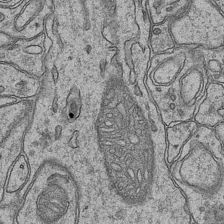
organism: Mouse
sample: CA1 Hippocampus